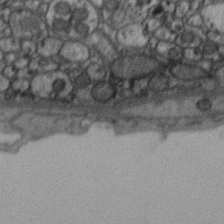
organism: Zebra finch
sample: Brain